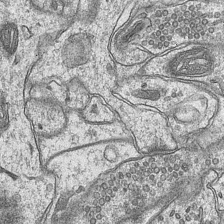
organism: Mouse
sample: CA1 Hippocampus